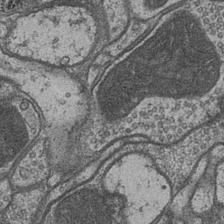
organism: Drosophila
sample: Optic medulla